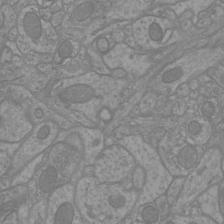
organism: Mouse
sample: Cortical neurons